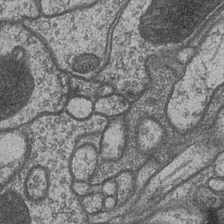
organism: Drosophila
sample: Optic medulla